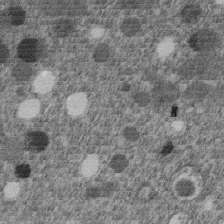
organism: C. elegans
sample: C. elegans embryo early stage